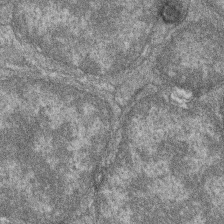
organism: Zebrafish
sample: Cilia; retinal pigment epithelium